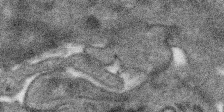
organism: Human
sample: Lung epithelial cells infected with SARS-CoV-2